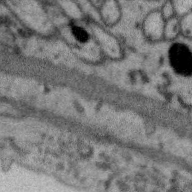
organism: Zebra finch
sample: Brain